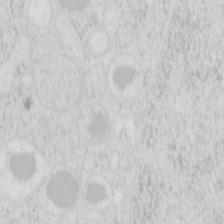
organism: Mouse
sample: Pancreas